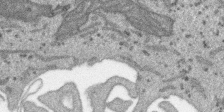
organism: Human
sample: Lung epithelial cells infected with SARS-CoV-2